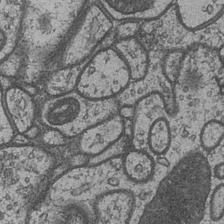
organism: Drosophila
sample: Optic medulla